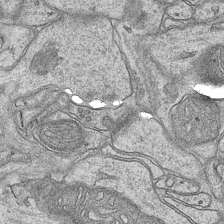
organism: Mouse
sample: CA1 Hippocampus